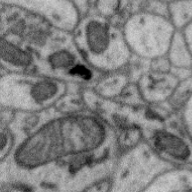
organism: Zebra finch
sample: Brain